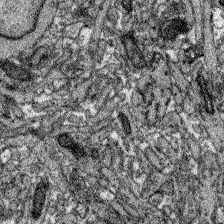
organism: Zebrafish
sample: Larval olfactory bulb